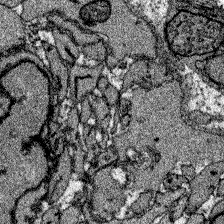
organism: Zebrafish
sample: Larval olfactory bulb